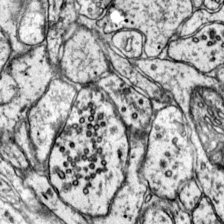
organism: Mouse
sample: Primary visual cortex